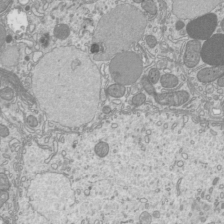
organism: Mouse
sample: Cilia; mouse epididymis